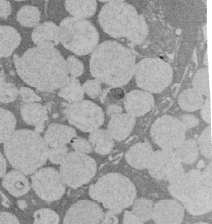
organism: Rat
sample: Salivary granule